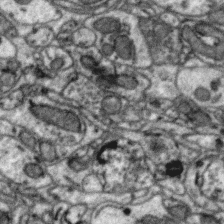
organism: Zebra finch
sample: Brain